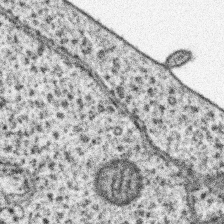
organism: Human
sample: HeLa cells